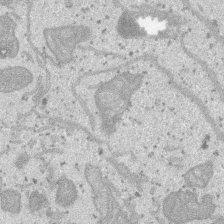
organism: Human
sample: Lung epithelial cells infected with SARS-CoV-2